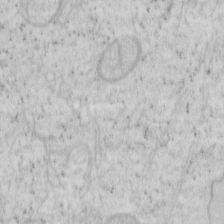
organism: Human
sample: HeLa cells